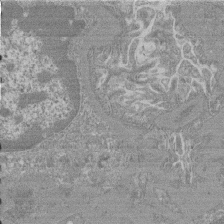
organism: Mouse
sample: Glomerulus